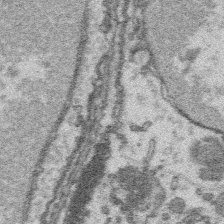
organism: Platynereis dumerilii